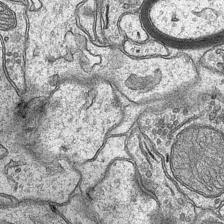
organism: Mouse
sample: CA1 Hippocampus